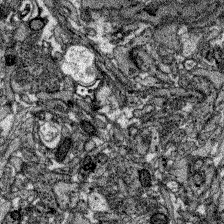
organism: Zebrafish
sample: Larval olfactory bulb